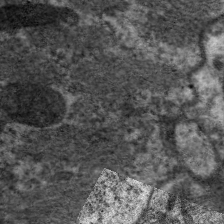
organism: C. elegans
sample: Pharynx